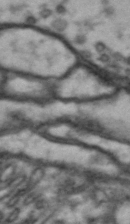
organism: Drosophila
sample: Brain